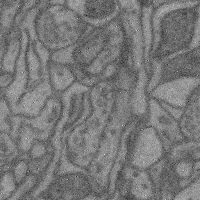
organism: Mouse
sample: Cerebral cortex